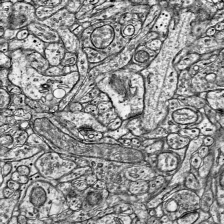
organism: Mouse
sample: Visual Cortex